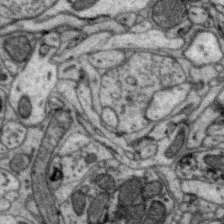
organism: Zebra finch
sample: Brain